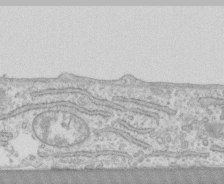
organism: Human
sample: CRL-1474